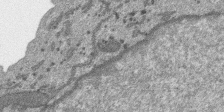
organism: Human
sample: Lung epithelial cells infected with SARS-CoV-2